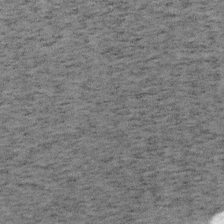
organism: Mouse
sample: OT-I killer T cells with ID8 ovarian cancer cells